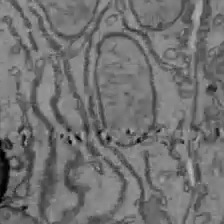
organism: C57BL Mouse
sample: Liver